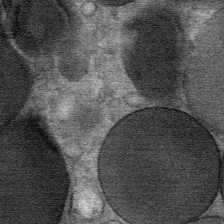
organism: Mouse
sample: Mouse Salivary gland